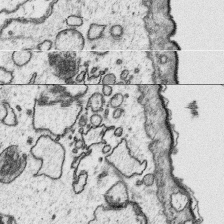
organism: Platynereis dumerilii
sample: Parapodia